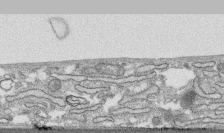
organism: Human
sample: CRL-1474